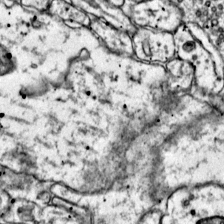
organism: Mouse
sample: Primary visual cortex